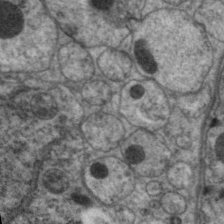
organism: C. elegans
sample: Pharynx